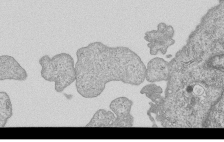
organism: Human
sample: MDA-MB-231 cells